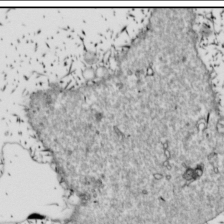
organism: Drosophila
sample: Cell division; meiosis; drosophila spermatocytes